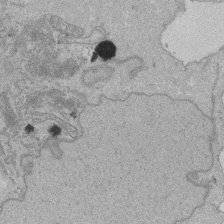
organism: Human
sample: Activated Jurkat CD4+ T cells